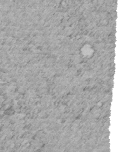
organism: C. elegans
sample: C. elegans embryo early stage